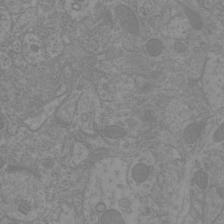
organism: Mouse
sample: Cortical neurons